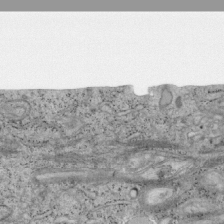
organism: Human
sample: HeLa cells